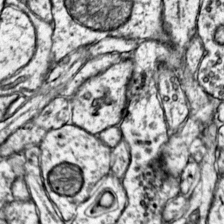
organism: Mouse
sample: Primary visual cortex